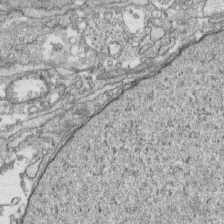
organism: Human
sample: CRL-1474